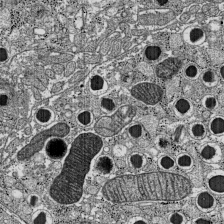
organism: C57BL Mouse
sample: Pancreatic islet